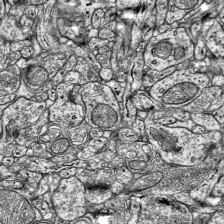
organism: Mouse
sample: Visual Cortex